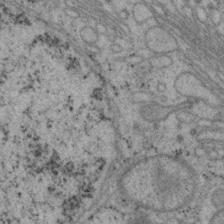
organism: Human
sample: HeLa cells